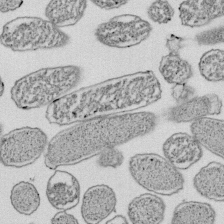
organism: E. coli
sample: Bacterial nucleoid